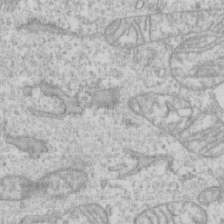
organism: Human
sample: CRL-1474